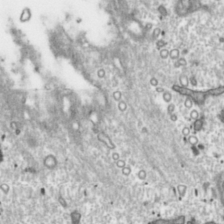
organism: Toxoplasma gondii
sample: Parasites in a vacuole inside a host cell